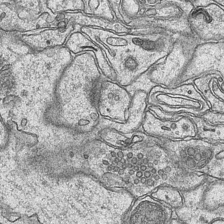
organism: Mouse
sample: CA1 Hippocampus